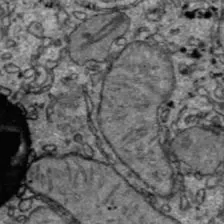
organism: C57BL Mouse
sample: Liver